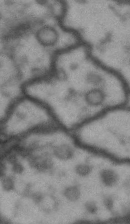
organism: Drosophila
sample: Brain